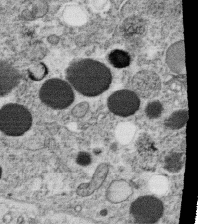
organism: C. elegans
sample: C. elegans oocyte; sperm cells